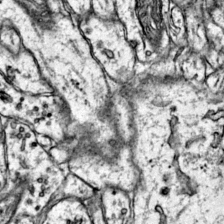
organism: Mouse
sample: Primary visual cortex